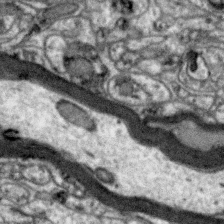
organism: Zebra finch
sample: Brain